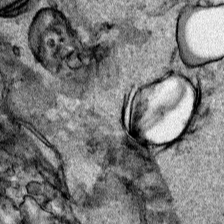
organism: Human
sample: Mitochondria in HCT116 cells